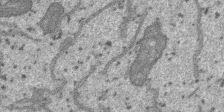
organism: Human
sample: Lung epithelial cells infected with SARS-CoV-2